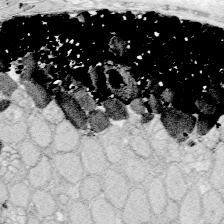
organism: Zebrafish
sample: Whole-Brain